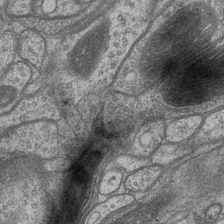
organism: Drosophila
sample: Optic medulla